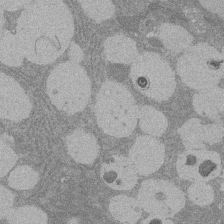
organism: Rat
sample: Salivary granule